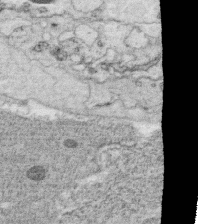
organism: C. elegans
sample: C. elegans oocyte; sperm cells